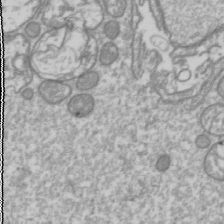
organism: Drosophila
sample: Cell division; meiosis; drosophila spermatocytes